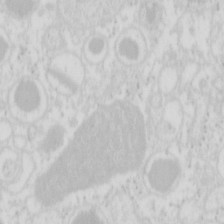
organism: Mouse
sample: Pancreas